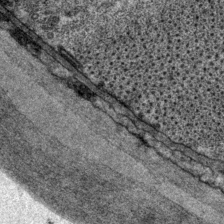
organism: P. pacificus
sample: Pharynx